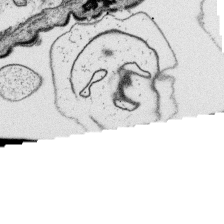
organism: Platynereis dumerilii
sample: Parapodia